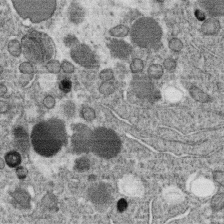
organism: C. elegans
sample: C. elegans oocyte; sperm cells